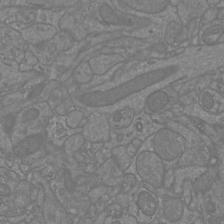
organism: Mouse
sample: Cortical neurons